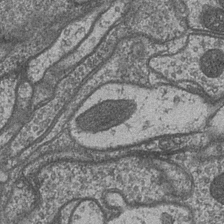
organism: Drosophila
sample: Optic medulla